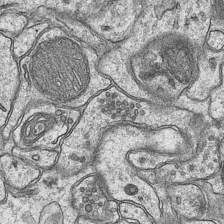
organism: Mouse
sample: CA1 Hippocampus